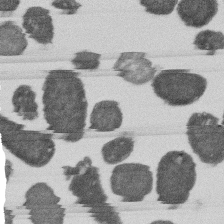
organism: E. coli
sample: Bacterial nucleoid